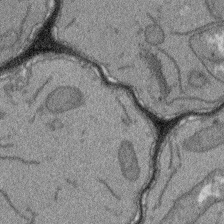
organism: Arabidopsis thaliana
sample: Root tip